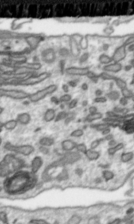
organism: Toxoplasma gondii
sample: Parasites in a vacuole inside a host cell